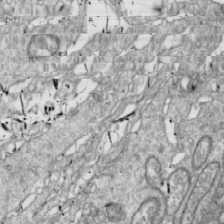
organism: Drosophila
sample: Cell division; meiosis; drosophila spermatocytes